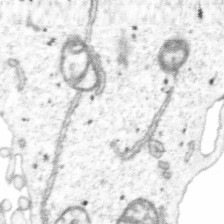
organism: Human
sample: HeLa cells